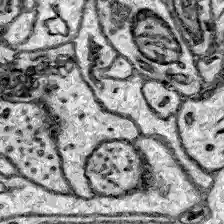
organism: Zebrafish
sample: Brain